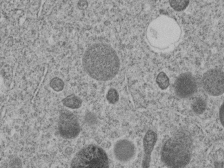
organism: C. elegans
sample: C. elegans embryo early stage